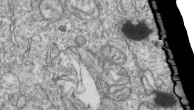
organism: Human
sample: HeLa cell HIV synapse